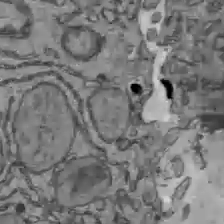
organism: C57BL Mouse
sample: Liver